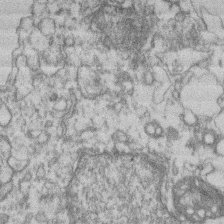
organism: Mouse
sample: T cell stromal cell synapse